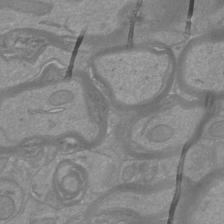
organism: Mouse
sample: Cortical neurons